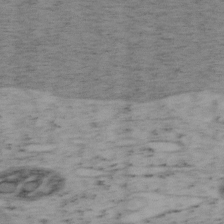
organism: Mouse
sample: OT-I killer T cells with ID8 ovarian cancer cells